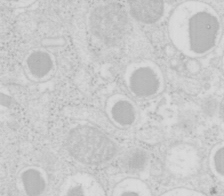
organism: Mouse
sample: Pancreas